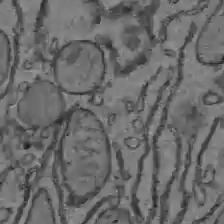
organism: C57BL Mouse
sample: Liver